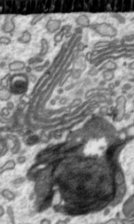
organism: Toxoplasma gondii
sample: Parasites in a vacuole inside a host cell